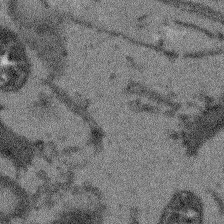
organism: Arabidopsis thaliana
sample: Root tip